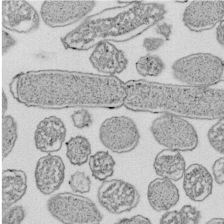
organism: E. coli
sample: Bacterial nucleoid